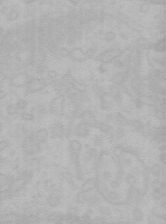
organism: Mouse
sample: Choroid plexus